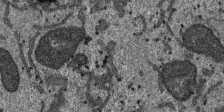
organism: Human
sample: Lung epithelial cells infected with SARS-CoV-2